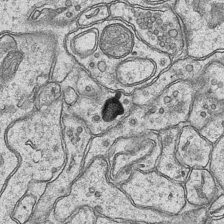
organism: Mouse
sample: CA1 Hippocampus